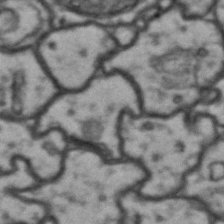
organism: Drosophila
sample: Brain